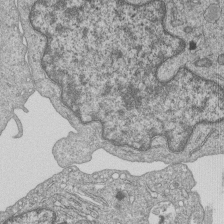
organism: Human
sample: MDA-MB-231 cells